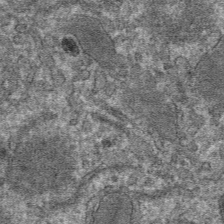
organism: Mouse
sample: Mouse hepatocytes